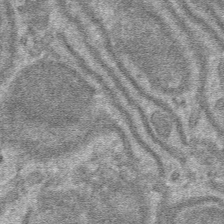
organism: Mouse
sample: Mouse hepatocytes